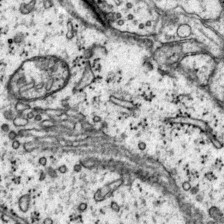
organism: Mouse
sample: Primary visual cortex